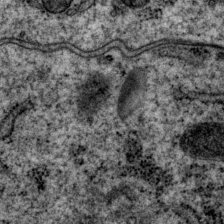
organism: P. pacificus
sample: Pharynx